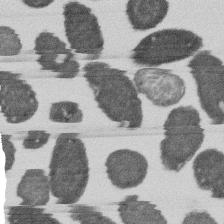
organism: E. coli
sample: Bacterial nucleoid